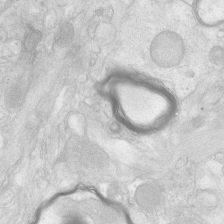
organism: Human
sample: Neocortex